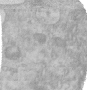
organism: Human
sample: Centriole in RPE cells